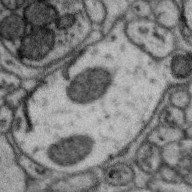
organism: Zebra finch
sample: Brain